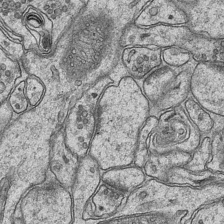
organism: Mouse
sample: CA1 Hippocampus